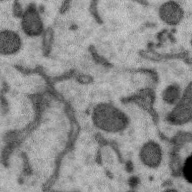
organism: Zebra finch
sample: Brain